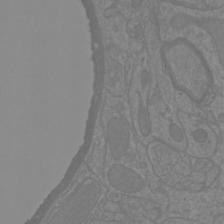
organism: Mouse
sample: Cortical neurons